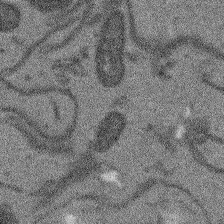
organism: Arabidopsis thaliana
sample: Root tip